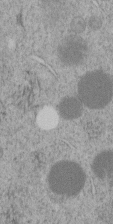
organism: C. elegans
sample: C. elegans embryo early stage